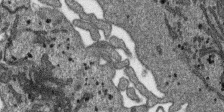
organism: Human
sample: Lung epithelial cells infected with SARS-CoV-2